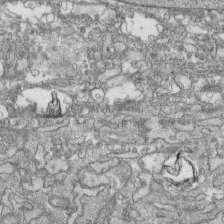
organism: Human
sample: CRL-1474